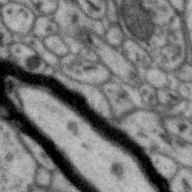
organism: Zebra finch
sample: Brain